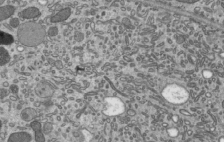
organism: Mouse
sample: Mouse epididymis efferent ductule cilia